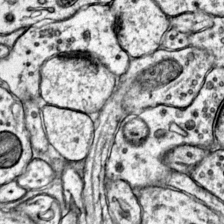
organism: Mouse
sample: Primary visual cortex